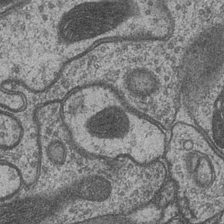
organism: Drosophila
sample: Optic medulla